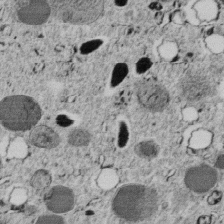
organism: C. elegans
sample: C. elegans embryo early stage